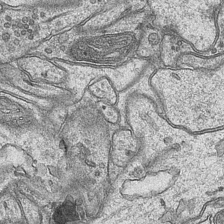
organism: Mouse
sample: CA1 Hippocampus